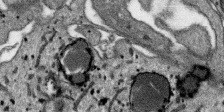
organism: Human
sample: Lung epithelial cells, uninfected (mock) control